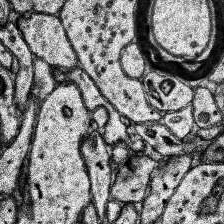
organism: Human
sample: Temporal Lobe